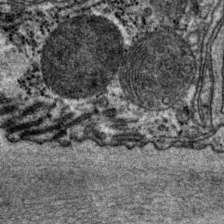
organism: P. pacificus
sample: Pharynx